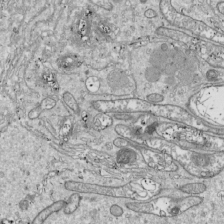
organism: Drosophila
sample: Cell division; meiosis; drosophila spermatocytes